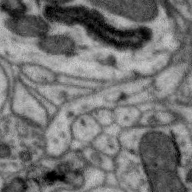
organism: Zebra finch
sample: Brain